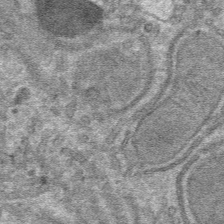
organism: Mouse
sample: Mouse hepatocytes